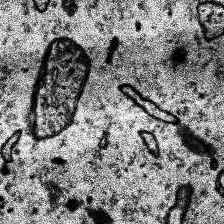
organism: Human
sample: Temporal Lobe